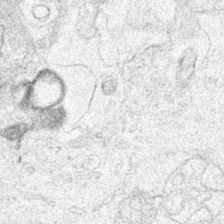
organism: Human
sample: Mitochondria in HCT116 cells